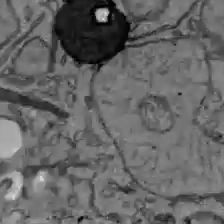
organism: C57BL Mouse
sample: Liver